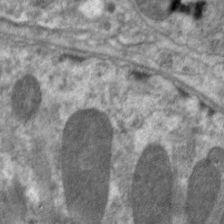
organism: C. elegans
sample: Pharynx